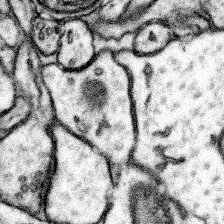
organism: Mouse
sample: Somatosensory cortex neuropil